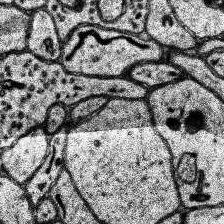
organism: Human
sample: Temporal Lobe